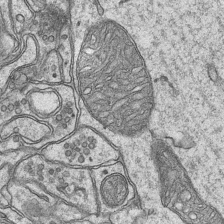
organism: Mouse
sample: CA1 Hippocampus